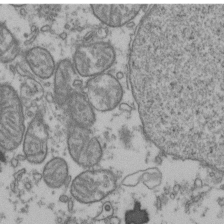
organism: Human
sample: Activated Jurkat CD4+ T cells